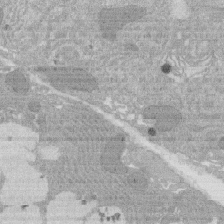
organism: Rat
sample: Salivary granule